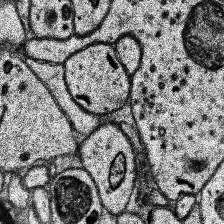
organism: Human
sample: Temporal Lobe